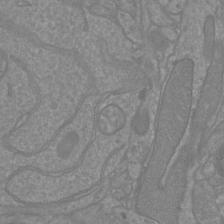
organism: Mouse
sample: Cortical neurons